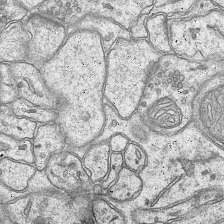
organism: Mouse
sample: CA1 Hippocampus